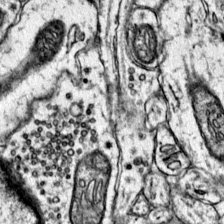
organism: Mouse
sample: Primary visual cortex